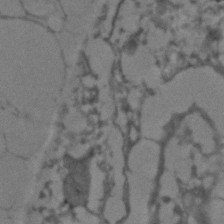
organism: C. elegans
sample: C. elegans embryo